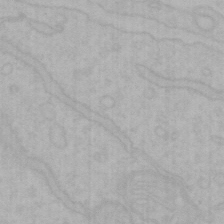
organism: Mouse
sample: Choroid plexus